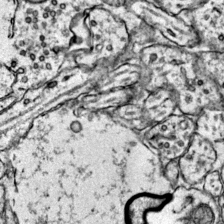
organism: Mouse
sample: Primary visual cortex